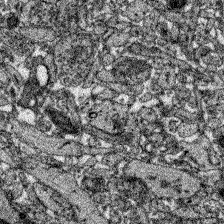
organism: Zebrafish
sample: Larval olfactory bulb